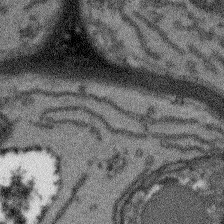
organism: Arabidopsis thaliana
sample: Root tip